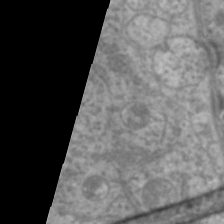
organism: C. elegans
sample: Pharynx